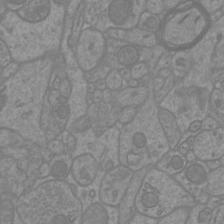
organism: Mouse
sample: Cortical neurons